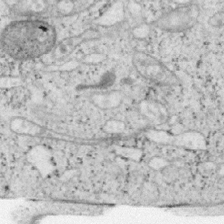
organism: Mouse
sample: OT-I killer T cells with ID8 ovarian cancer cells